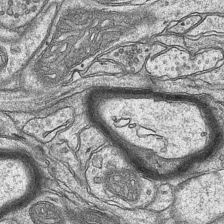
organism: Mouse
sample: CA1 Hippocampus